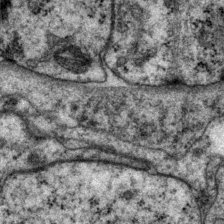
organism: P. pacificus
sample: Pharynx